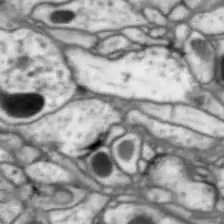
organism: Drosophila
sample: Optic lobe